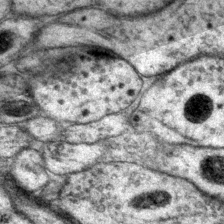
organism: P. pacificus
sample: Pharynx